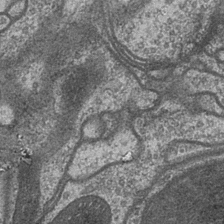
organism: Drosophila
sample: Optic medulla